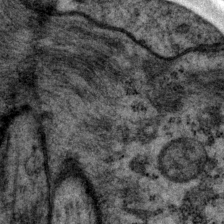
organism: P. pacificus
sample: Pharynx